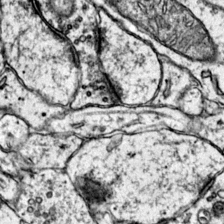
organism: Mouse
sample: Primary visual cortex